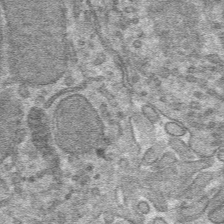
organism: Mouse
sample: Mouse hepatocytes